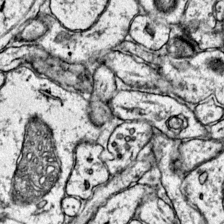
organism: Mouse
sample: Primary visual cortex